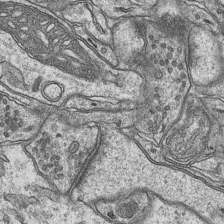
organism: Mouse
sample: CA1 Hippocampus